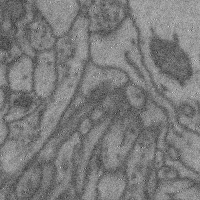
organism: Mouse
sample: Cerebral cortex